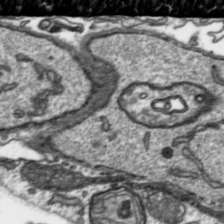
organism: Toxoplasma gondii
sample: Parasites in a vacuole inside a host cell